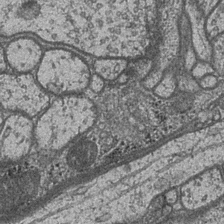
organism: Drosophila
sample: Optic medulla